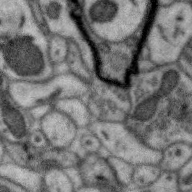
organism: Zebra finch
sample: Brain